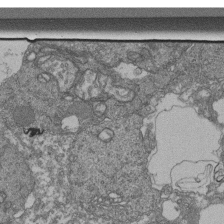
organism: Human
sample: Retinal organoid Rod and Cone cells